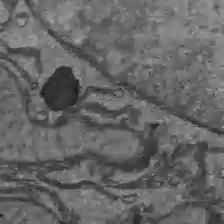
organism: C57BL Mouse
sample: Liver